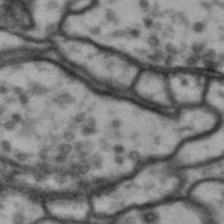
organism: Drosophila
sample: Brain